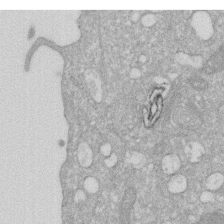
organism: Human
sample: HIV infected U937 cells